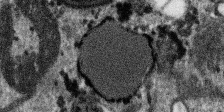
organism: Human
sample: Lung epithelial cells infected with SARS-CoV-2